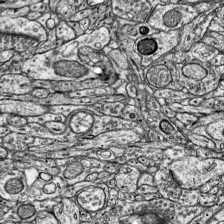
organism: Mouse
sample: Visual Cortex